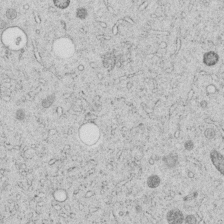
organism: C. elegans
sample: C. elegans embryo early stage